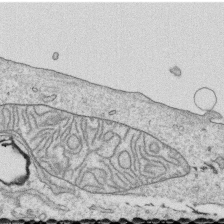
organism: Human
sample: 1205lu cells